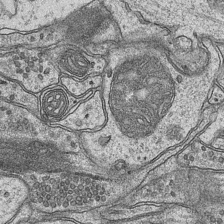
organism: Mouse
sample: CA1 Hippocampus